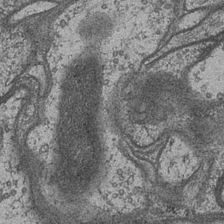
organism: Drosophila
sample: Optic medulla